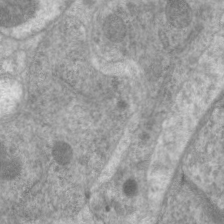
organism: C. elegans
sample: Pharynx